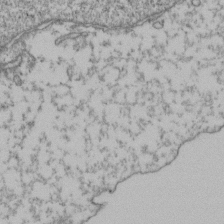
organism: Human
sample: Activated Jurkat CD4+ T cells